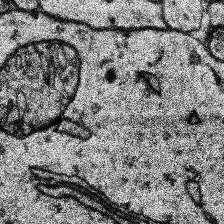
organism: Human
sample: Temporal Lobe